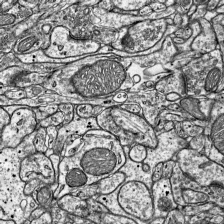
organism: Mouse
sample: Visual Cortex